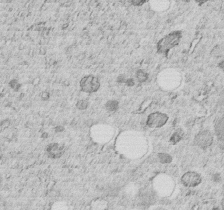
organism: C. elegans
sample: C. elegans embryo early stage